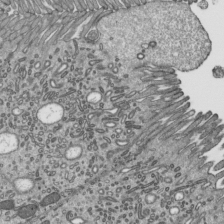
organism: Mouse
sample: Mouse epididymis efferent ductule cilia